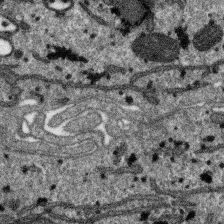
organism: Human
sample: Lung epithelial cells infected with SARS-CoV-2